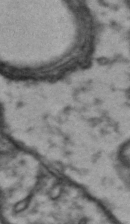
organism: Drosophila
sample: Brain